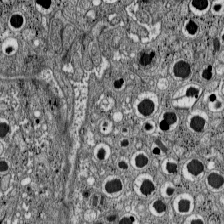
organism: C57BL Mouse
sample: Pancreatic islet